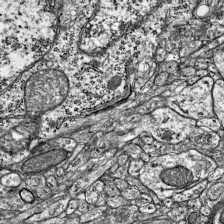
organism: Mouse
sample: Visual Cortex